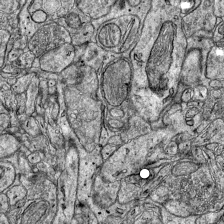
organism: Mouse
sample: Visual Cortex